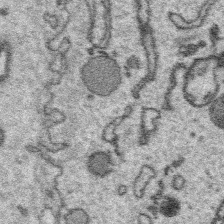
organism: Platynereis dumerilii